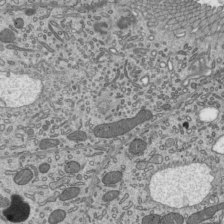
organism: Mouse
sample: Mouse epididymis efferent ductule cilia